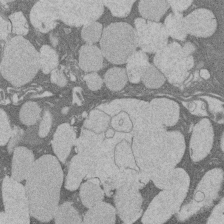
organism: Rat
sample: Salivary granule